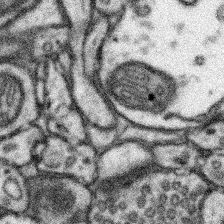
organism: Mouse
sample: Somatosensory cortex neuropil